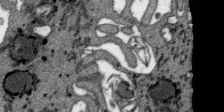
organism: Human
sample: Lung epithelial cells, uninfected (mock) control